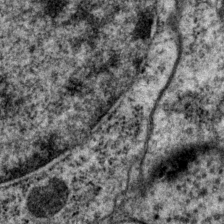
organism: P. pacificus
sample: Pharynx